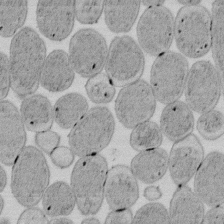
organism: E. coli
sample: Bacterial nucleoid